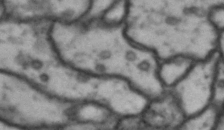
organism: Drosophila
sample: Brain